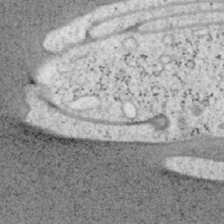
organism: Mouse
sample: OT-I killer T cells with ID8 ovarian cancer cells